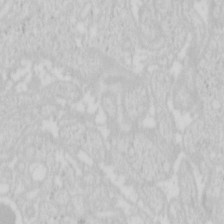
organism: Mouse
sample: Pancreas